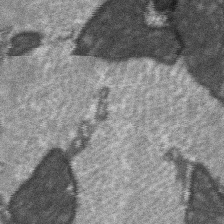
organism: C57BL Mouse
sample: Soleus